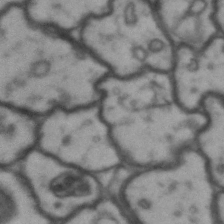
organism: Drosophila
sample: Brain